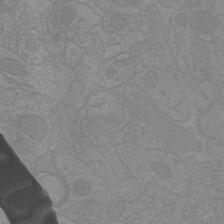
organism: Mouse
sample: Cortical neurons